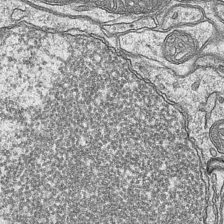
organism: Mouse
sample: CA1 Hippocampus